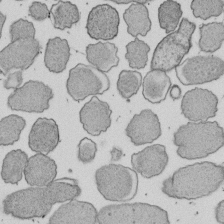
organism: E. coli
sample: Bacterial nucleoid